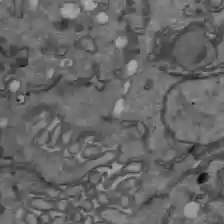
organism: C57BL Mouse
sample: Liver